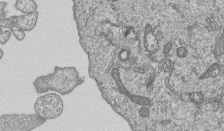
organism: Human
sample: MDA-MB-231 cells